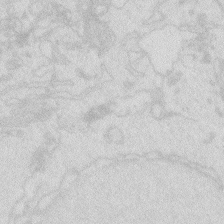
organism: Zebrafish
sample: Macrophage